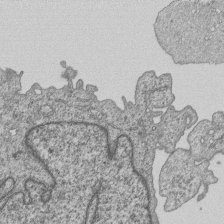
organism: Human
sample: MDA-MB-231 cells